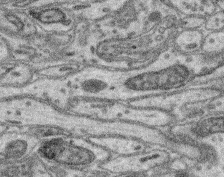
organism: Mouse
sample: Retina